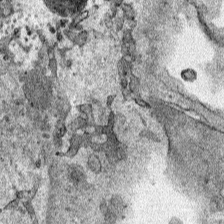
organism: Human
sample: Mitochondria in HCT116 cells